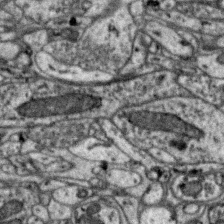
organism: Zebra finch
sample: Brain